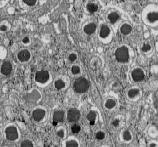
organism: C57BL Mouse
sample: Pancreatic islet